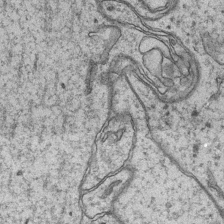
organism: Mouse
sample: CA1 Hippocampus